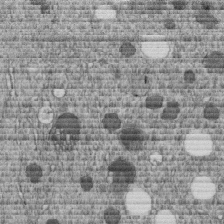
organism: C. elegans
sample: C. elegans embryo early stage